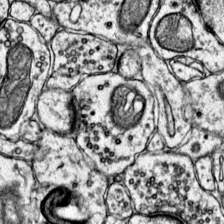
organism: Mouse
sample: Primary visual cortex